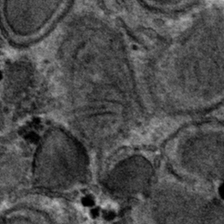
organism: Mouse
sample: Mouse hepatocytes